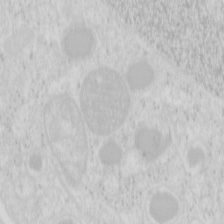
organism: Mouse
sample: Pancreas